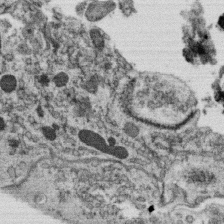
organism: C. elegans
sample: C. elegans oocyte; sperm cells